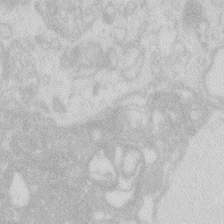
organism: Zebrafish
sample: Macrophage